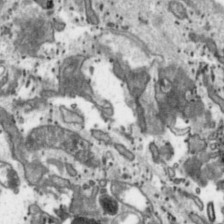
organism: Toxoplasma gondii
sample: Parasites in a vacuole inside a host cell